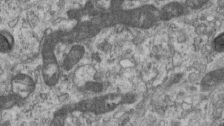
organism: Mouse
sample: Centriole in ependymal cells